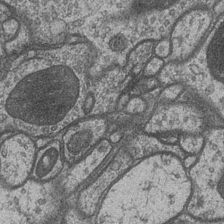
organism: Drosophila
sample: Optic medulla